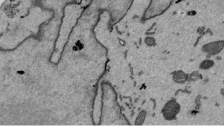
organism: Mouse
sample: ED-1 cell nuclei; centrioles